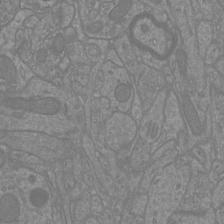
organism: Mouse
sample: Cortical neurons